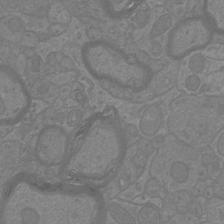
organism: Mouse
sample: Cortical neurons